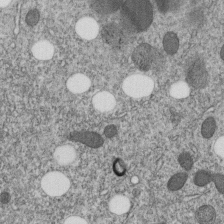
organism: C. elegans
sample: C. elegans embryo early stage